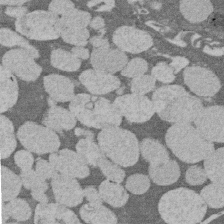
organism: Rat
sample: Salivary granule